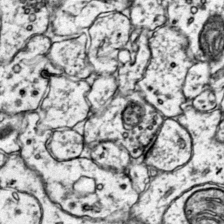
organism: Mouse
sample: Primary visual cortex